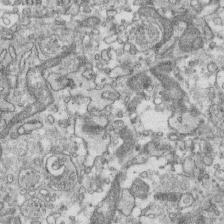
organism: Human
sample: CRL-1474